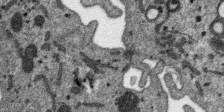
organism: Human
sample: Lung epithelial cells infected with SARS-CoV-2